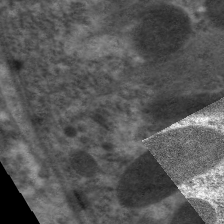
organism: C. elegans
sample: Pharynx